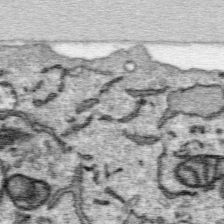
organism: Human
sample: HeLa cells